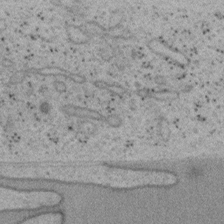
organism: Human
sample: HeLa cells